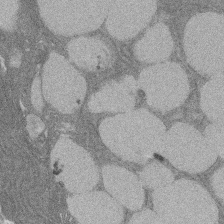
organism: Rat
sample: Salivary granule